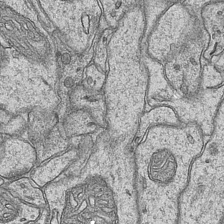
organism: Mouse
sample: CA1 Hippocampus